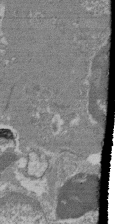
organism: Mouse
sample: Glomerulus